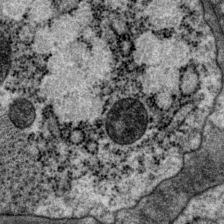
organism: P. pacificus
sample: Pharynx